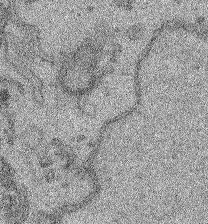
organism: Human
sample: HeLa cells